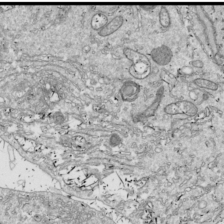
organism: Drosophila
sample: Cell division; meiosis; drosophila spermatocytes